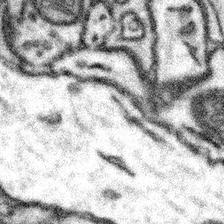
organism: Mouse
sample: Somatosensory cortex neuropil